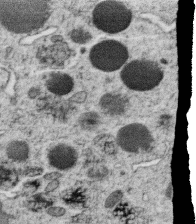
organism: C. elegans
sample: C. elegans oocyte; sperm cells